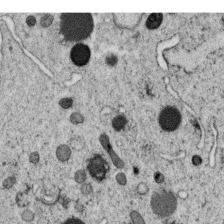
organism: C. elegans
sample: C. elegans oocyte; sperm cells